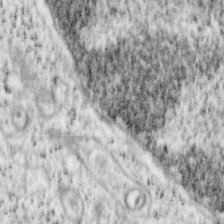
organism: Mouse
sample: OT-I killer T cells with ID8 ovarian cancer cells